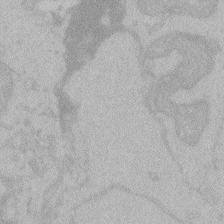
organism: Zebrafish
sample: Macrophage infected with Toxoplasma gondii